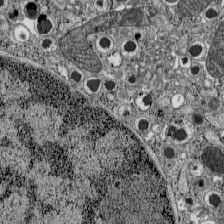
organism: C57BL Mouse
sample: Pancreatic islet